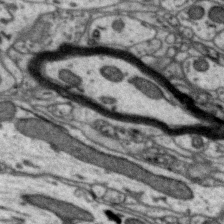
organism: Zebra finch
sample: Brain